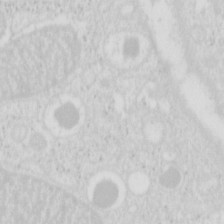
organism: Mouse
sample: Pancreas